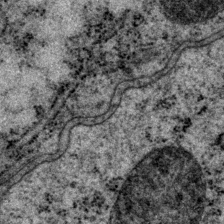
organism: P. pacificus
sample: Pharynx